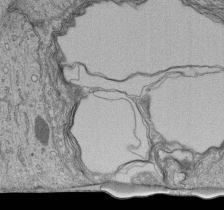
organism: Human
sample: Retinal organoid Rod and Cone cells